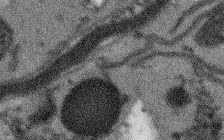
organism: Arabidopsis thaliana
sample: Root tip